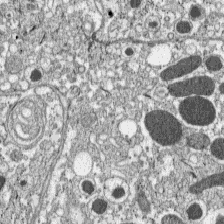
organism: C57BL Mouse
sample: Pancreatic islet